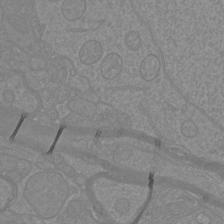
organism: Mouse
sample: Cortical neurons